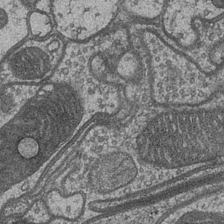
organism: Drosophila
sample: Optic medulla